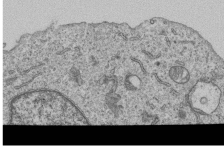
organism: Human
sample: MDA-MB-231 cells